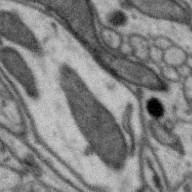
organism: Zebra finch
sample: Brain